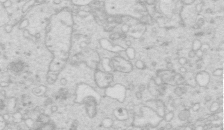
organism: Mouse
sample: Multiciliated cells